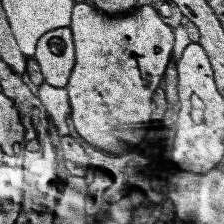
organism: Human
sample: Temporal Lobe